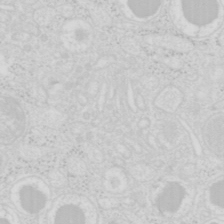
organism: Mouse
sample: Pancreas